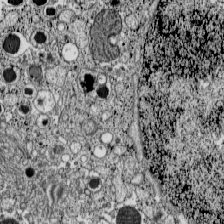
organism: C57BL Mouse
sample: Pancreatic islet